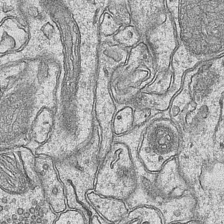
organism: Mouse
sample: CA1 Hippocampus